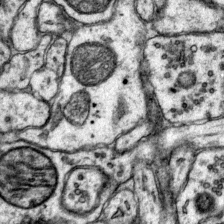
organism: Mouse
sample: Primary visual cortex